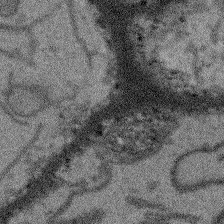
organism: Arabidopsis thaliana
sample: Root tip